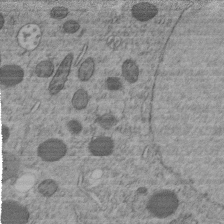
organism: C. elegans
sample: C. elegans embryo early stage